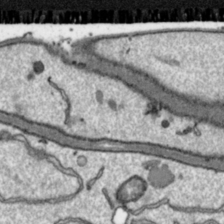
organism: Toxoplasma gondii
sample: Parasites in a vacuole inside a host cell